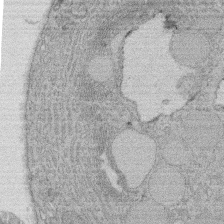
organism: Rat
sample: Salivary granule